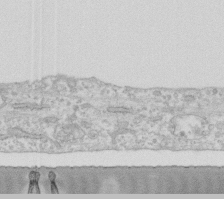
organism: Human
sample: Fibroblast cells